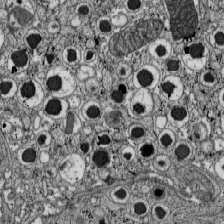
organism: C57BL Mouse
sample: Pancreatic islet